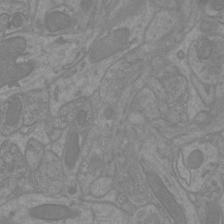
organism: Mouse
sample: Cortical neurons